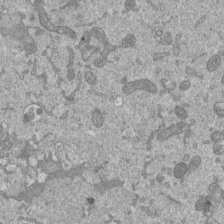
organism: Mouse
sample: ED-1 cell nuclei; centrioles